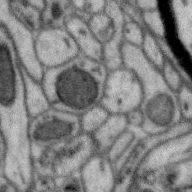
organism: Zebra finch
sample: Brain